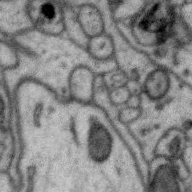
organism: Zebra finch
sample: Brain